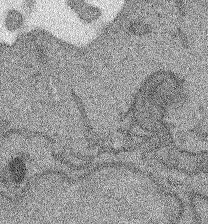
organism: Human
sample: HeLa cells